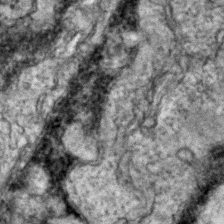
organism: Zebrafish